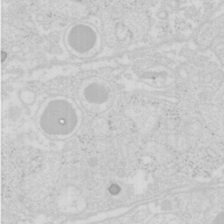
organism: Mouse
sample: Pancreas